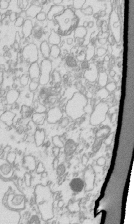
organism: Mouse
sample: Macrophages